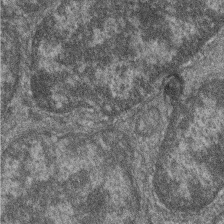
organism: Zebrafish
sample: Cilia; retinal pigment epithelium